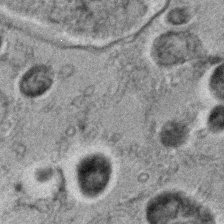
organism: C. elegans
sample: C. elegans embryo